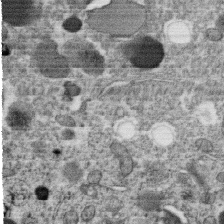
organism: C. elegans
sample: C. elegans oocyte; sperm cells